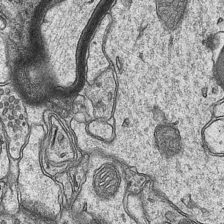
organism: Mouse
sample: CA1 Hippocampus